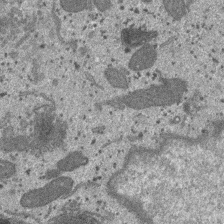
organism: Human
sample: Lung epithelial cells infected with SARS-CoV-2